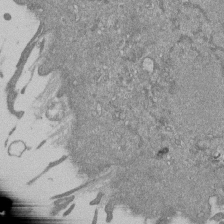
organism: Mouse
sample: ED-1 cell nuclei; centrioles